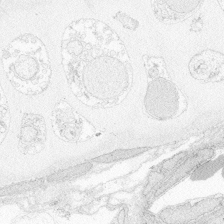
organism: Zebrafish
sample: Whole-Brain